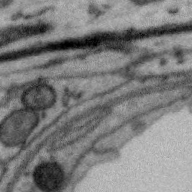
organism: Zebra finch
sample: Brain